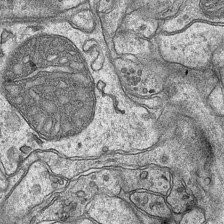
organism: Mouse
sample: CA1 Hippocampus